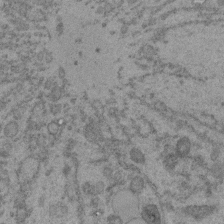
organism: C. elegans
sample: C. elegans embryo early stage